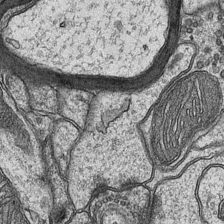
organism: Mouse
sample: CA1 Hippocampus